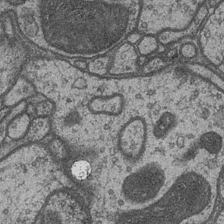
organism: Drosophila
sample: Optic medulla